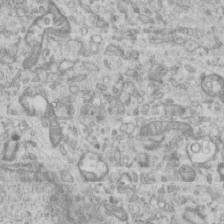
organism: Mouse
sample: Centriole in ependymal cells